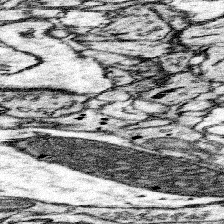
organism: Mouse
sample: Somatosensory cortex neuropil